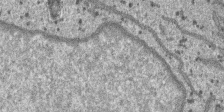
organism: Human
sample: Lung epithelial cells infected with SARS-CoV-2